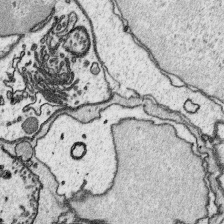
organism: Platynereis dumerilii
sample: Parapodia